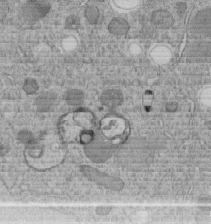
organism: C. elegans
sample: C. elegans embryo early stage